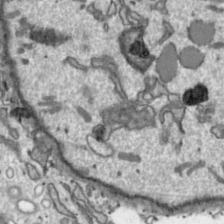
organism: Toxoplasma gondii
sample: Parasites in a vacuole inside a host cell